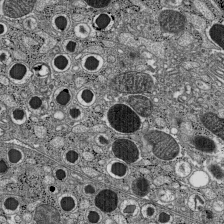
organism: C57BL Mouse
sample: Pancreatic islet